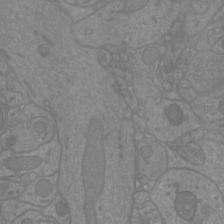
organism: Mouse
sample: Cortical neurons